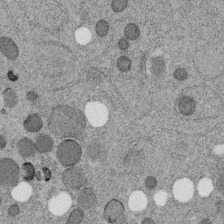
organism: C. elegans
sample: C. elegans embryo early stage